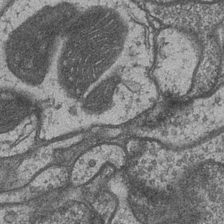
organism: Drosophila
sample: Optic medulla